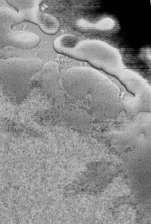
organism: Human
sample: Retinal organoid Rod and Cone cells